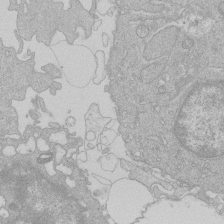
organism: Human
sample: Macrophage cells